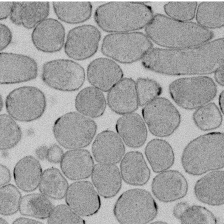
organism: E. coli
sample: Bacterial nucleoid